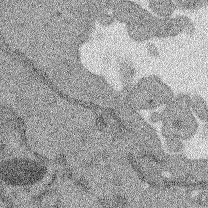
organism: Human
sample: HeLa cells